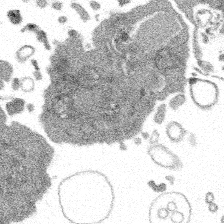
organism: Spongilla lacustris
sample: Multiple